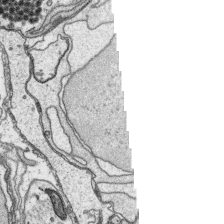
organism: Platynereis dumerilii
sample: Parapodia